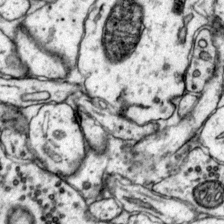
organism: Mouse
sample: Primary visual cortex